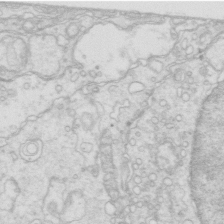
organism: Mouse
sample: Multiciliated cells